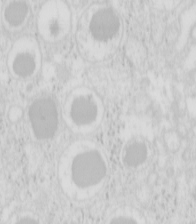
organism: Mouse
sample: Pancreas